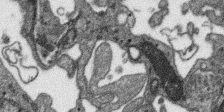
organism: Human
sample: Lung epithelial cells infected with SARS-CoV-2